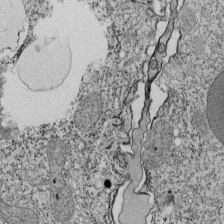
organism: Tetrahymena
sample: Cilia in tetrahymena